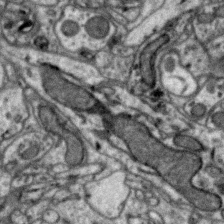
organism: Zebra finch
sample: Brain